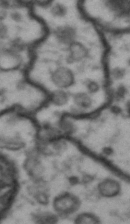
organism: Drosophila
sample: Brain